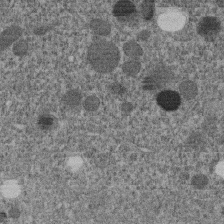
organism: C. elegans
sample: C. elegans embryo early stage